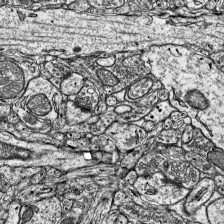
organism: Mouse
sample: Visual Cortex